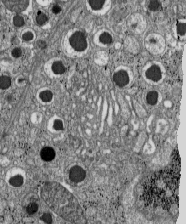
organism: C57BL Mouse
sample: Pancreatic islet